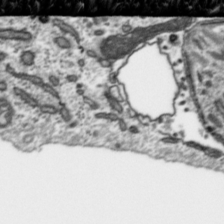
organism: Toxoplasma gondii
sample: Parasites in a vacuole inside a host cell